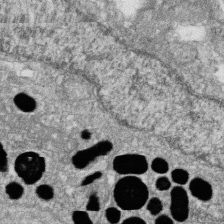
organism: Zebrafish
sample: Cilia; retinal pigment epithelium